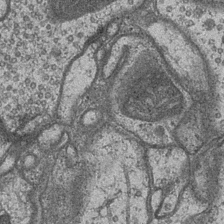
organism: Drosophila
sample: Optic medulla